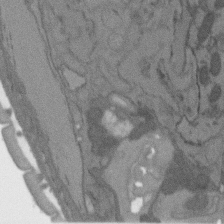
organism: C. elegans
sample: AFD neurons C. elegans